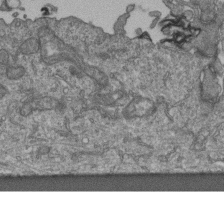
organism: Human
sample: Retinal organoid Rod and Cone cells